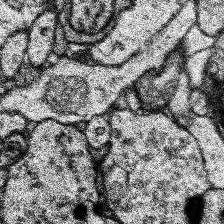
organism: Human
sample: Temporal Lobe